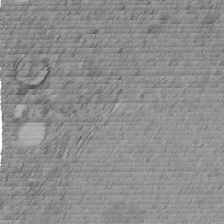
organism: C. elegans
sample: C. elegans embryo early stage